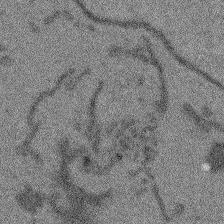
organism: Arabidopsis thaliana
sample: Root tip